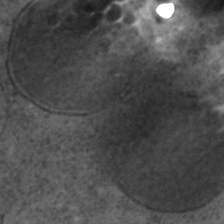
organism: C. elegans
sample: C. elegans embryo